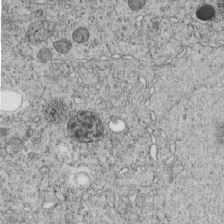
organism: C. elegans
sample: C. elegans embryo early stage